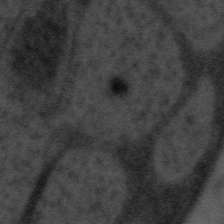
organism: Tuwongella immobilis